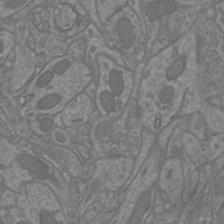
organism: Mouse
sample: Cortical neurons